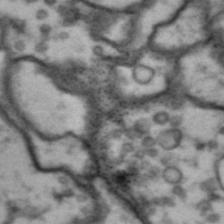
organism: Drosophila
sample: Brain